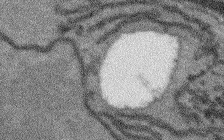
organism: Arabidopsis thaliana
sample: Root tip